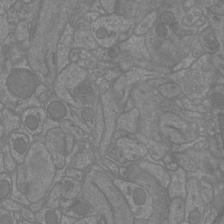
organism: Mouse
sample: Cortical neurons